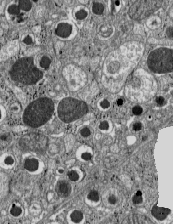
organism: C57BL Mouse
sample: Pancreatic islet